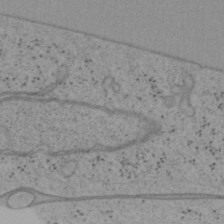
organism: Human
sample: HeLa cells